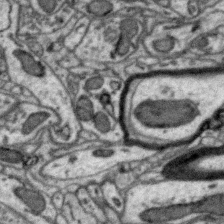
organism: Zebra finch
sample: Brain